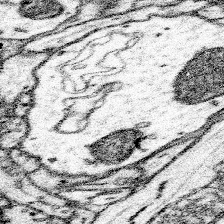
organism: Mouse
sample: Somatosensory cortex neuropil